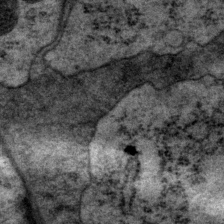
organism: P. pacificus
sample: Pharynx